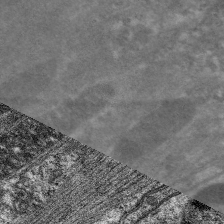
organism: C. elegans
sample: Pharynx